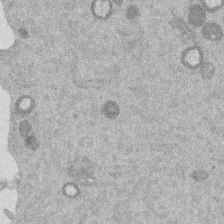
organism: Mouse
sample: Dividing mouse embryo 1 cell stage